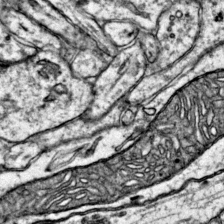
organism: Mouse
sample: Primary visual cortex